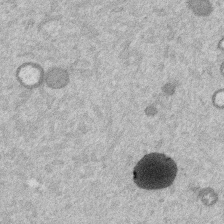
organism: Mouse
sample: Dividing mouse embryo 1 cell stage